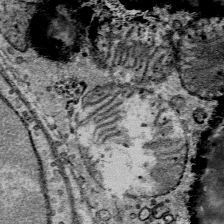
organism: Mouse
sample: Mouse Salivary gland